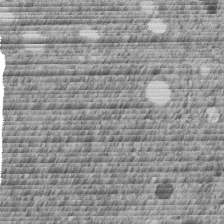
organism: C. elegans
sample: C. elegans embryo early stage